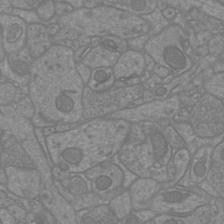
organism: Mouse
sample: Cortical neurons